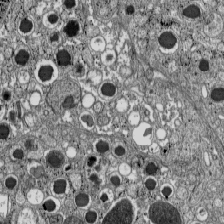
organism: C57BL Mouse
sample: Pancreatic islet